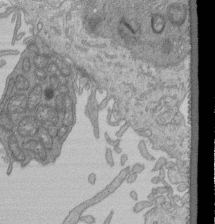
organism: Human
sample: Retinal organoid Rod and Cone cells